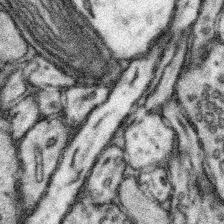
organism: Mouse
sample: Somatosensory cortex neuropil